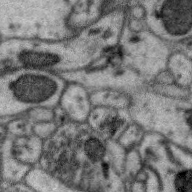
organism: Zebra finch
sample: Brain